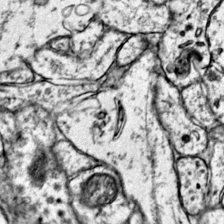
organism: Mouse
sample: Primary visual cortex